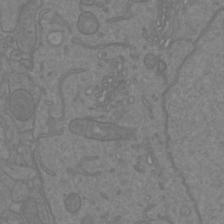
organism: Mouse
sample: Cortical neurons